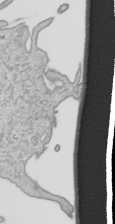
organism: Human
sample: Mitochondria in HCT116 cells